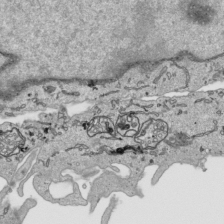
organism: Human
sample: Mitochondria in HCT116 cells